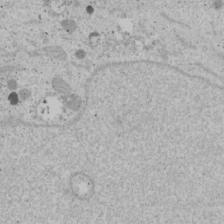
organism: Human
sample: Mitochondria in U2OS cells